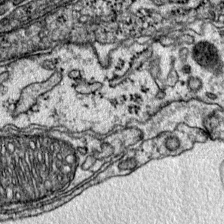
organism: Mouse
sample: Primary visual cortex